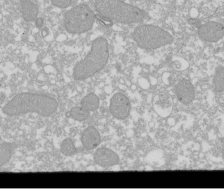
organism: Xenopus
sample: Cilia; centrioles in frog embryo cells